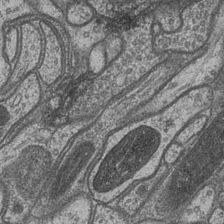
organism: Drosophila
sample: Optic medulla